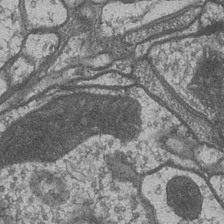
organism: Drosophila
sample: Optic medulla